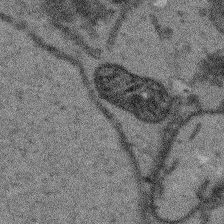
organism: Arabidopsis thaliana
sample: Root tip